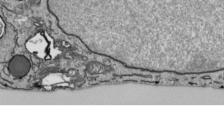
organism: Human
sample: Mitochondria in HCT116 cells